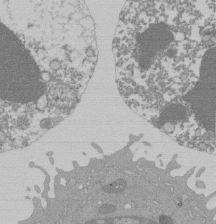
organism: Mouse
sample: Activated Pmel transgenic CD8+ T Cells